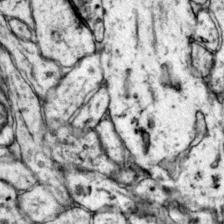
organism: Mouse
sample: Primary visual cortex